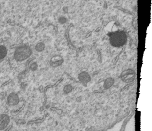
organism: Human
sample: MDA-MB-231 cells